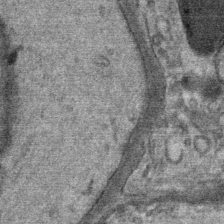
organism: Mouse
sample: Mouse Salivary gland